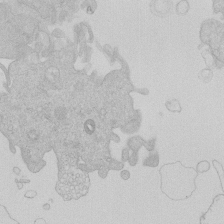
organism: Human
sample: Macrophage cells